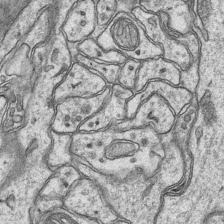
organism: Mouse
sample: CA1 Hippocampus